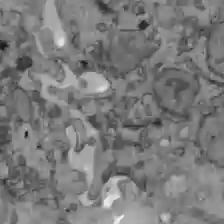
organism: C57BL Mouse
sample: Liver